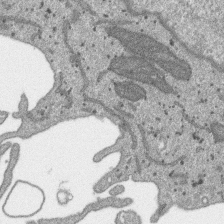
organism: Human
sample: Lung epithelial cells infected with SARS-CoV-2